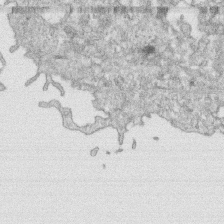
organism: Human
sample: HeLa cell HIV synapse